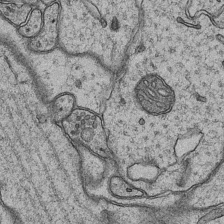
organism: Mouse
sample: CA1 Hippocampus